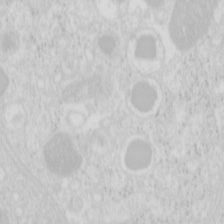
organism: Mouse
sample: Pancreas